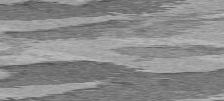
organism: C57BL Mouse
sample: Heart